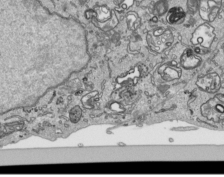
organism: Human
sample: Mitochondria in HCT116 cells